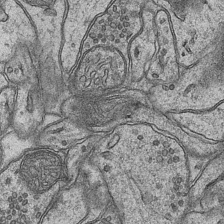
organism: Mouse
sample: CA1 Hippocampus